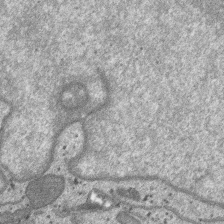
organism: Human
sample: Lung epithelial cells infected with SARS-CoV-2